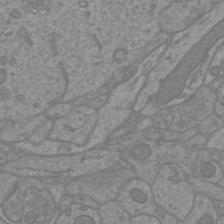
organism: Mouse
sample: Cortical neurons